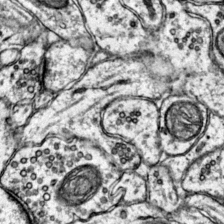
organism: Mouse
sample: Primary visual cortex